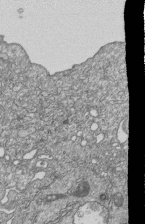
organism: Human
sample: MDA-MB-231 cells